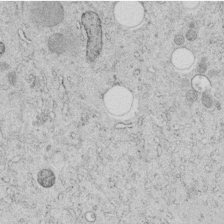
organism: C. elegans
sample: C. elegans embryo early stage